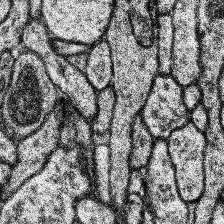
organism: Human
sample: Temporal Lobe